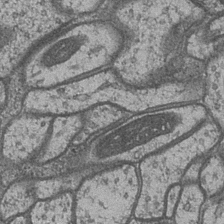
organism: Drosophila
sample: Optic medulla